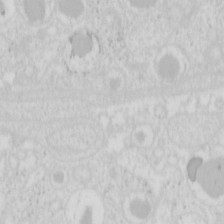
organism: Mouse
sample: Pancreas